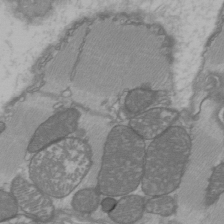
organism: C57BL Mouse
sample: Heart